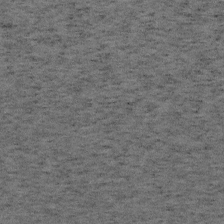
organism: Mouse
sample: OT-I killer T cells with ID8 ovarian cancer cells